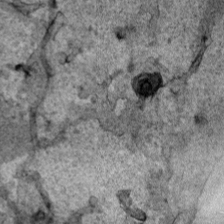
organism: Human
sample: Mitochondria in HCT116 cells